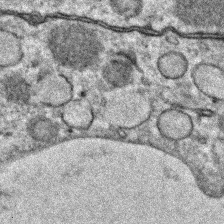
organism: Zebrafish